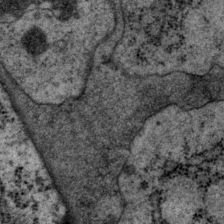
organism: P. pacificus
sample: Pharynx